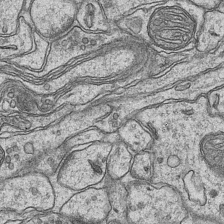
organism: Mouse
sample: CA1 Hippocampus